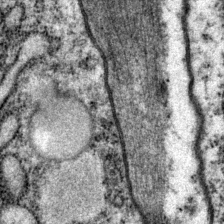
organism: P. pacificus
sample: Pharynx